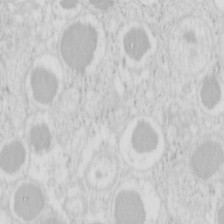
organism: Mouse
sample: Pancreas